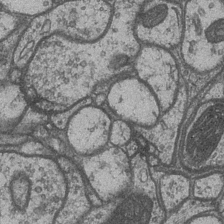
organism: Drosophila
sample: Optic medulla